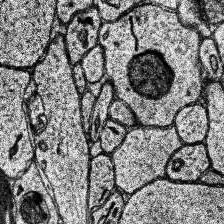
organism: Human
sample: Temporal Lobe